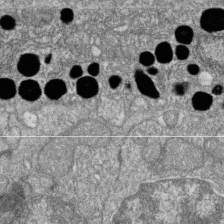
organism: Zebrafish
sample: Cilia; retinal pigment epithelium